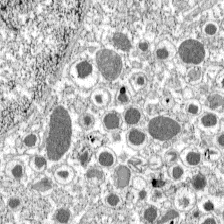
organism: C57BL Mouse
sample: Pancreatic islet